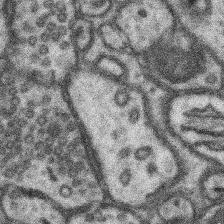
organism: Mouse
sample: Somatosensory cortex neuropil